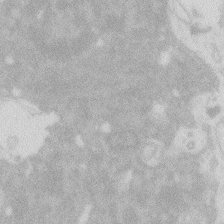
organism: Zebrafish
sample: Macrophage